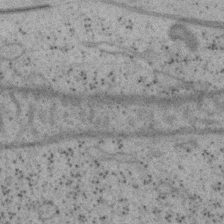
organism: Human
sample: HeLa cells